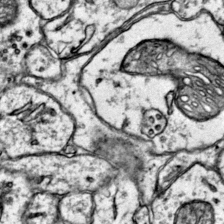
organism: Mouse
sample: Primary visual cortex